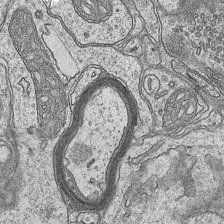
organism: Mouse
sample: CA1 Hippocampus